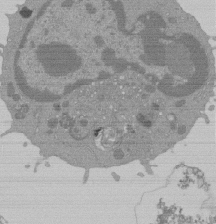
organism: Mouse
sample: Activated Pmel transgenic CD8+ T Cells